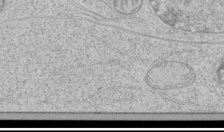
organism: Human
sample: Mitochondria in HCT116 cells